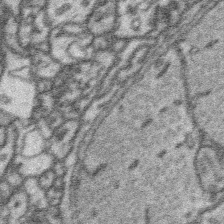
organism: Platynereis dumerilii